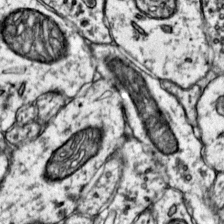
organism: Mouse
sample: Primary visual cortex